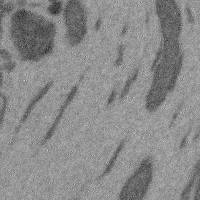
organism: Mouse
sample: Cerebral cortex